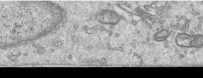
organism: Human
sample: Centriole in RPE cells